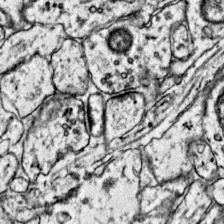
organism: Mouse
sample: Primary visual cortex